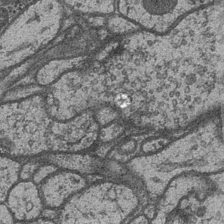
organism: Drosophila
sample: Optic medulla